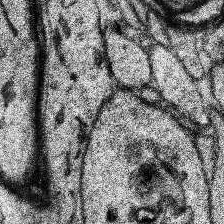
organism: Human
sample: Temporal Lobe